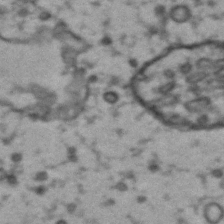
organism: Drosophila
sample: Brain